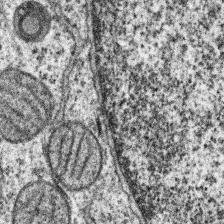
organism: Human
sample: HeLa cells